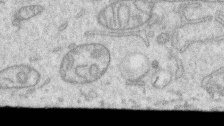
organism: Human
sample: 1205lu cells